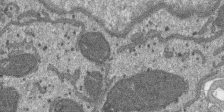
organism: Human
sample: Lung epithelial cells infected with SARS-CoV-2